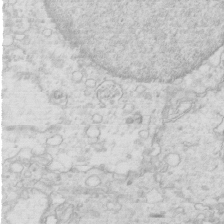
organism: Mouse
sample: Multiciliated cells